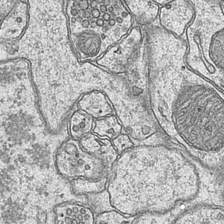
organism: Mouse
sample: CA1 Hippocampus